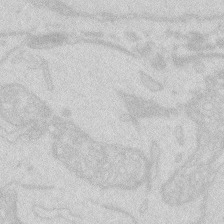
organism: Zebrafish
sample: Macrophage